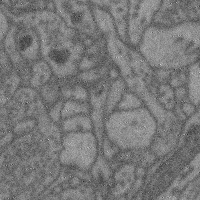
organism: Mouse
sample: Cerebral cortex